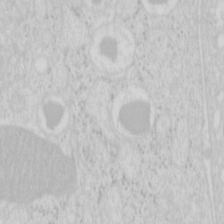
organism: Mouse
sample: Pancreas